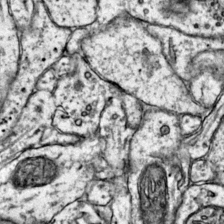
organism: Mouse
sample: Primary visual cortex